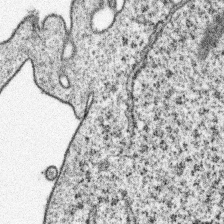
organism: Human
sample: HeLa cells